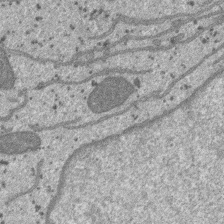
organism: Human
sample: Lung epithelial cells infected with SARS-CoV-2